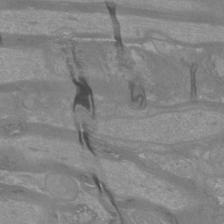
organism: Mouse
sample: Cortical neurons